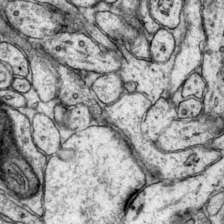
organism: Mouse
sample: Primary visual cortex